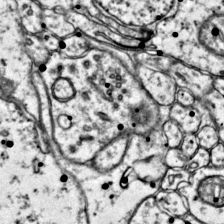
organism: Mouse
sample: Primary visual cortex